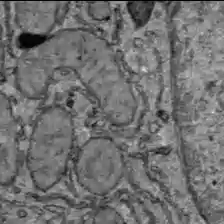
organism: C57BL Mouse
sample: Liver